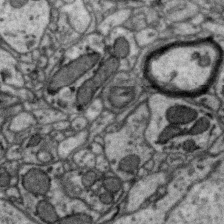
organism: Zebra finch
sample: Brain